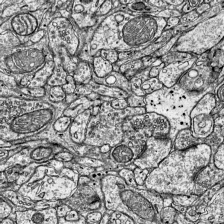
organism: Mouse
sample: Visual Cortex